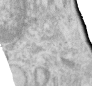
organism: Human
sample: Centriole in RPE cells